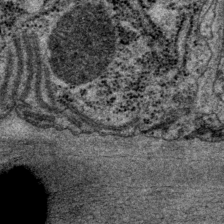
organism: P. pacificus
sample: Pharynx